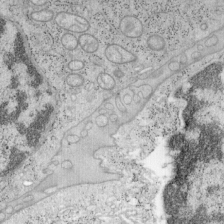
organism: Mouse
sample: OT-I killer T cells with ID8 ovarian cancer cells